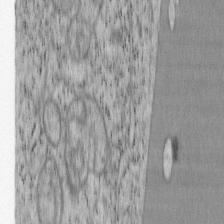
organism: Human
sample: HeLa cells